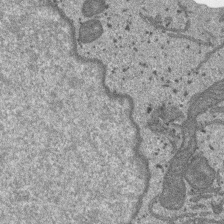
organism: Human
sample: Lung epithelial cells infected with SARS-CoV-2